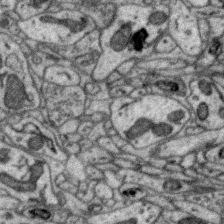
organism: Zebra finch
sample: Brain